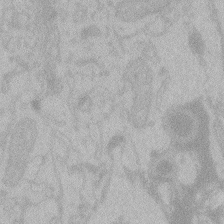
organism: Zebrafish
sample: Macrophage infected with Toxoplasma gondii